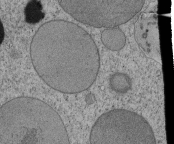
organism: Tetrahymena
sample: Cilia in tetrahymena